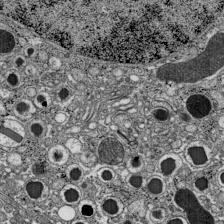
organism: C57BL Mouse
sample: Pancreatic islet